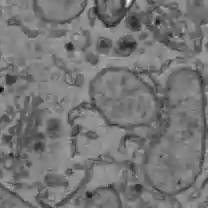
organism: C57BL Mouse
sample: Liver